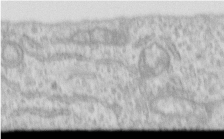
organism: Human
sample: Centriole in RPE cells